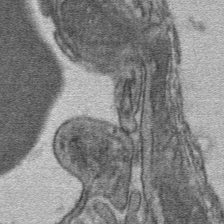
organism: Mouse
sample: Mouse hepatocytes